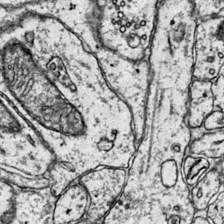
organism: Mouse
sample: Primary visual cortex